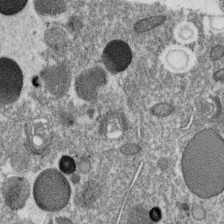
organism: C. elegans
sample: C. elegans oocyte; sperm cells